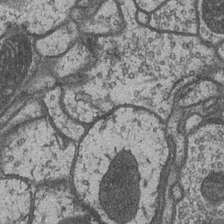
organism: Drosophila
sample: Optic medulla